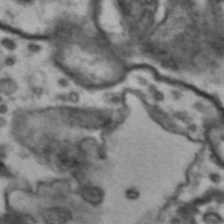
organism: Drosophila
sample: Brain